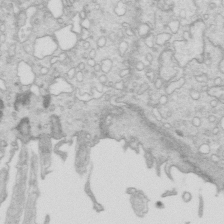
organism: Mouse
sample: Multiciliated cells